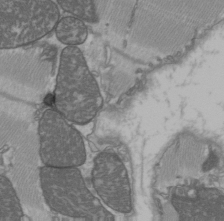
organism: C57BL Mouse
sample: Heart